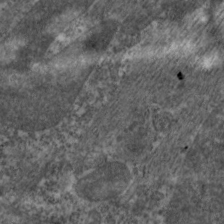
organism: C. elegans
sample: Pharynx